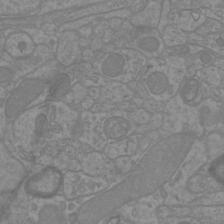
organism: Mouse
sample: Cortical neurons